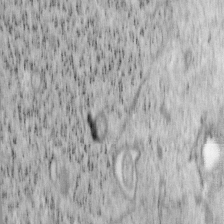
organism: Human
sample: HeLa cells